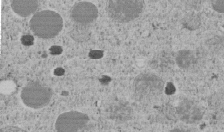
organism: C. elegans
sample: C. elegans embryo early stage